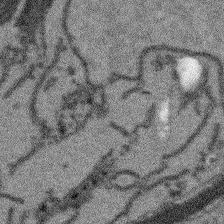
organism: Arabidopsis thaliana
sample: Root tip